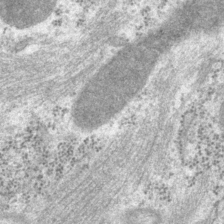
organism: P. pacificus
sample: Pharynx